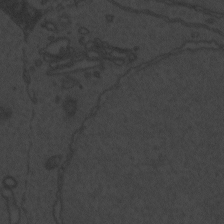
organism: Zebrafish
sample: Macrophage infected with Toxoplasma gondii